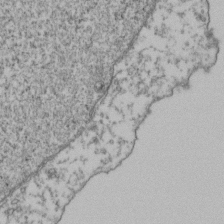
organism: Human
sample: Activated Jurkat CD4+ T cells